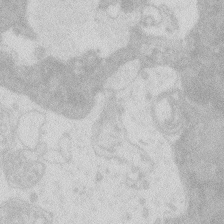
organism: Zebrafish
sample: Macrophage